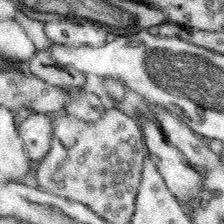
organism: Mouse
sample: Somatosensory cortex neuropil